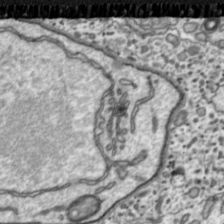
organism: Toxoplasma gondii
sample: Parasites in a vacuole inside a host cell